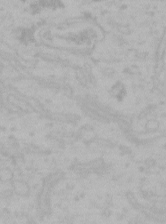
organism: Mouse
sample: Choroid plexus